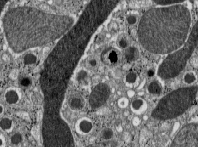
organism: C57BL Mouse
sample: Pancreatic islet